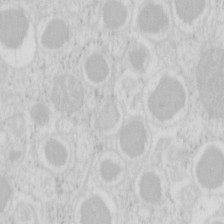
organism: Mouse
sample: Pancreas